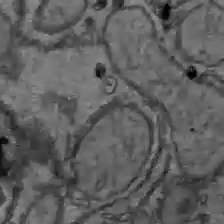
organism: C57BL Mouse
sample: Liver